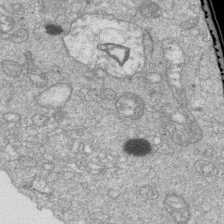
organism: Human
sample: HeLa cell HIV synapse